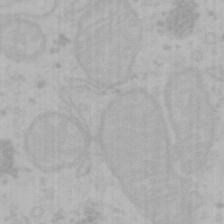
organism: Mouse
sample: Choroid plexus